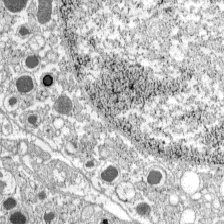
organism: C57BL Mouse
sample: Pancreatic islet